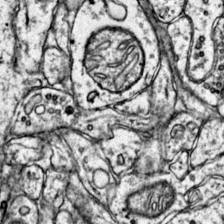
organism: Mouse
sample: Primary visual cortex